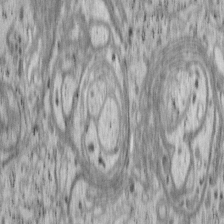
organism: Human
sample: HeLa cells